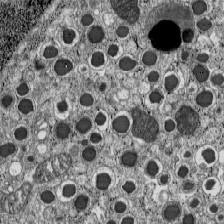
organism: C57BL Mouse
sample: Pancreatic islet